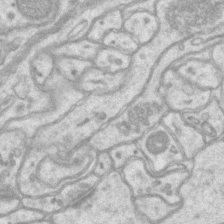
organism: Mouse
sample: CA1 Hippocampus